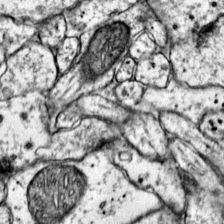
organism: Mouse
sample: Primary visual cortex